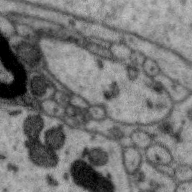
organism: Zebra finch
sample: Brain